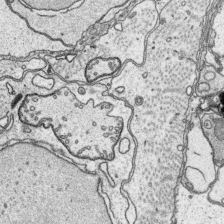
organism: Platynereis dumerilii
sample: Parapodia